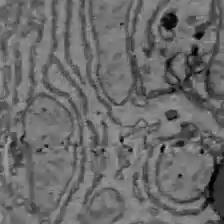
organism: C57BL Mouse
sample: Liver